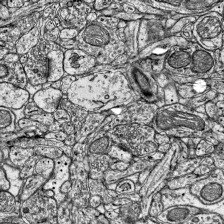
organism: Mouse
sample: Visual Cortex